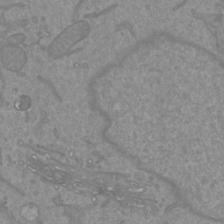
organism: Mouse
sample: Cortical neurons